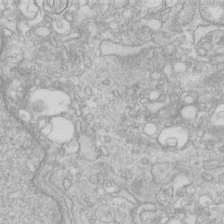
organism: Human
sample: Fibroblast cells